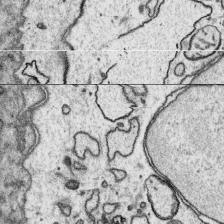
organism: Platynereis dumerilii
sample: Parapodia